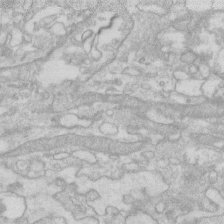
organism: Human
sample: Fibroblast cells